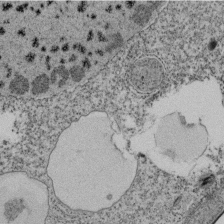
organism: Tetrahymena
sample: Cilia in tetrahymena